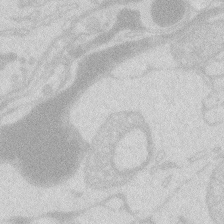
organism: Zebrafish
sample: Macrophage